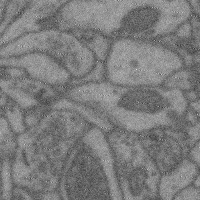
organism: Mouse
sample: Cerebral cortex